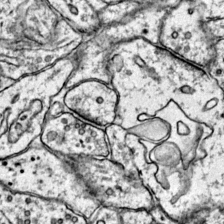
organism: Mouse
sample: Primary visual cortex